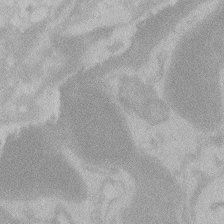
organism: Zebrafish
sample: Macrophage infected with Toxoplasma gondii